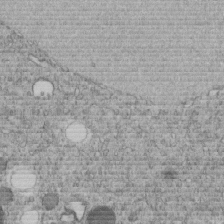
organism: C. elegans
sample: C. elegans embryo early stage